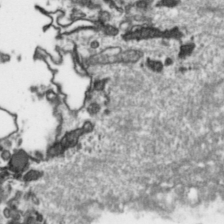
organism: Toxoplasma gondii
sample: Parasites in a vacuole inside a host cell